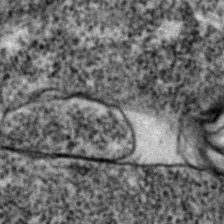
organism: Zebrafish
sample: Zebrafish embryo